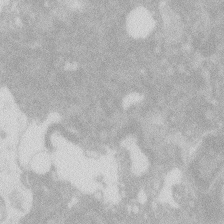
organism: Zebrafish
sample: Macrophage